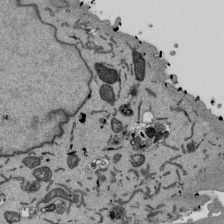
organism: Mouse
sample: ED-1 cell nuclei; centrioles